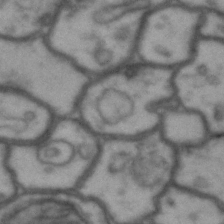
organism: Drosophila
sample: Brain